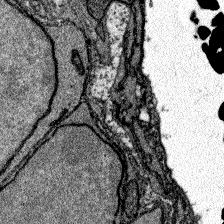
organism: Zebrafish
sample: Larval olfactory bulb